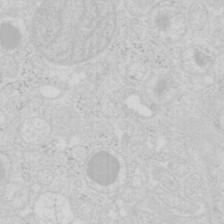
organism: Mouse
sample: Pancreas